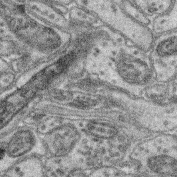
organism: Mouse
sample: Retina